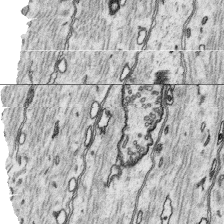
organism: Platynereis dumerilii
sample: Parapodia